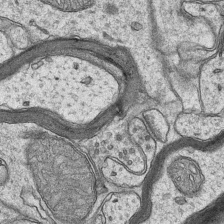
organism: Mouse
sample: CA1 Hippocampus